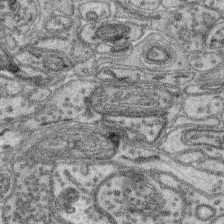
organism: Mouse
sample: Retina